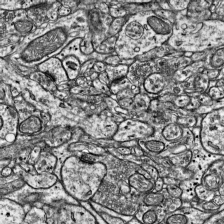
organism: Mouse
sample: Visual Cortex